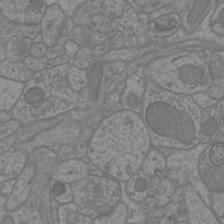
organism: Mouse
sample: Cortical neurons